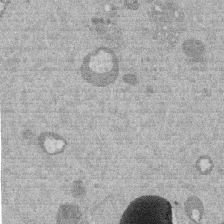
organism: Mouse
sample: Dividing mouse embryo 1 cell stage